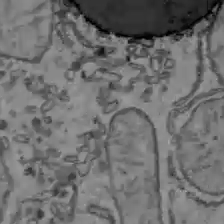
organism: C57BL Mouse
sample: Liver